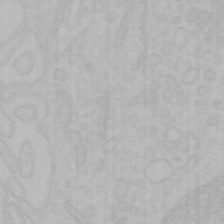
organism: Mouse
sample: Choroid plexus